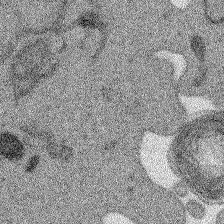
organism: Human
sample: HeLa cells